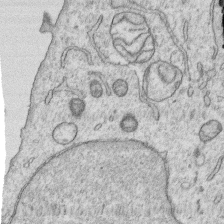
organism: Human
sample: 1205lu cells